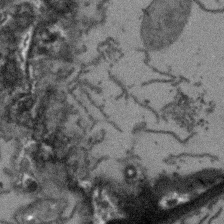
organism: Arabidopsis thaliana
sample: Root tip